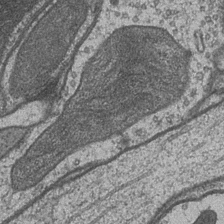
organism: Drosophila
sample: Optic medulla